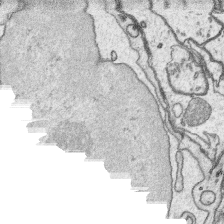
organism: Platynereis dumerilii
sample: Parapodia